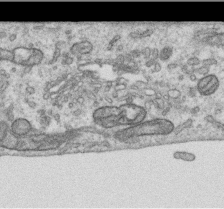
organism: Human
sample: Centriole in RPE cells